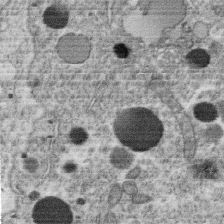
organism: C. elegans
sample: C. elegans oocyte; sperm cells